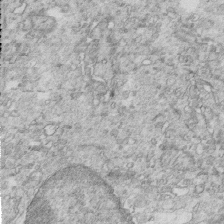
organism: Mouse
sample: Multiciliated cells